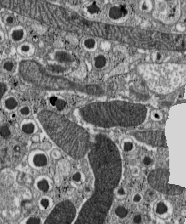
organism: C57BL Mouse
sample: Pancreatic islet